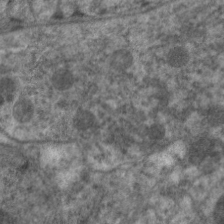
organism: C. elegans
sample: Pharynx